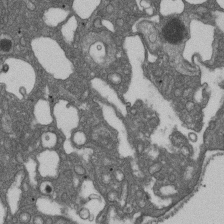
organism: Drosophila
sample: Nephrocyte